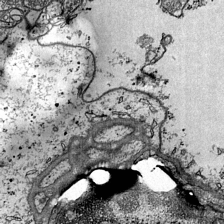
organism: Mouse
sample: Visual Cortex